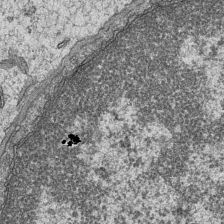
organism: Mouse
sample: CA1 Hippocampus